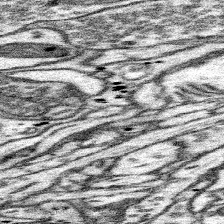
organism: Mouse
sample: Somatosensory cortex neuropil